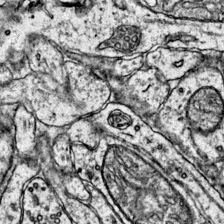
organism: Mouse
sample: Primary visual cortex